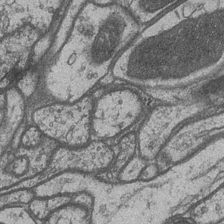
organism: Drosophila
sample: Optic medulla